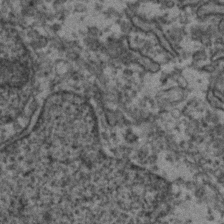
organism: Zebrafish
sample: Zebrafish embryo